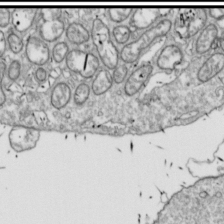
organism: Drosophila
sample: Cell division; meiosis; drosophila spermatocytes